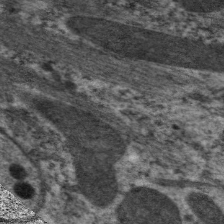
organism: C. elegans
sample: Pharynx